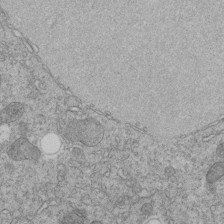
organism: C. elegans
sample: C. elegans embryo early stage